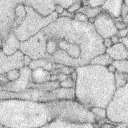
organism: Rabbit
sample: Retina